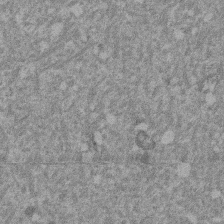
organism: Mouse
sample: Dividing mouse embryo 1 cell stage